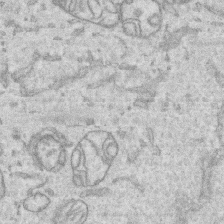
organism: Human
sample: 1205lu cells